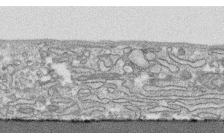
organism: Human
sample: CRL-1474